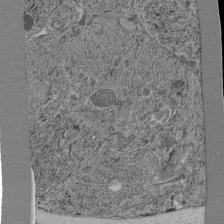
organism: C. elegans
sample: C. elegans pharynx